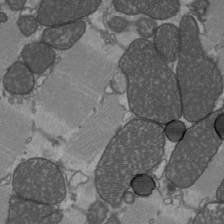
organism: C57BL Mouse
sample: Heart